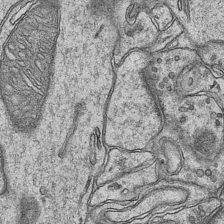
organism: Mouse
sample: CA1 Hippocampus